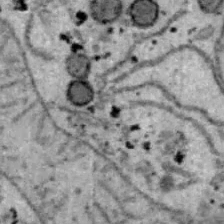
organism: Mouse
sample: Liver from an obese (ob/ob) mouse